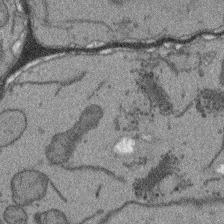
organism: Arabidopsis thaliana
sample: Root tip